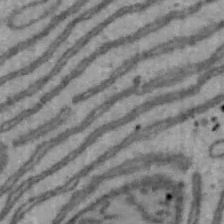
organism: Mouse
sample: Liver